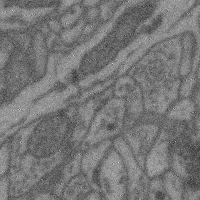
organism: Mouse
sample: Cerebral cortex